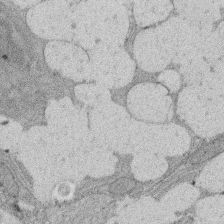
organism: Rat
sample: Salivary granule